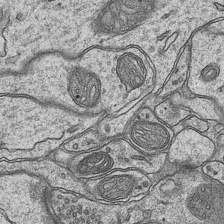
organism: Mouse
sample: CA1 Hippocampus